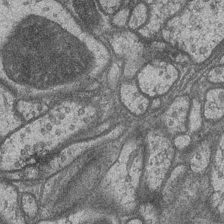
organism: Drosophila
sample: Optic medulla